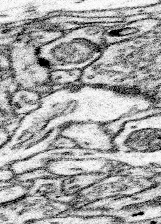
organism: Mouse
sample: Somatosensory cortex neuropil